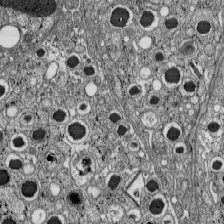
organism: C57BL Mouse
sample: Pancreatic islet